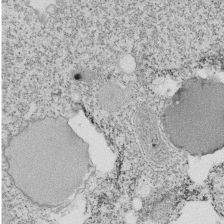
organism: Tetrahymena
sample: Cilia in tetrahymena